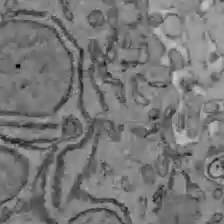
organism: C57BL Mouse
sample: Liver